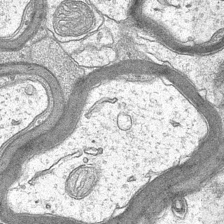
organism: Mouse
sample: CA1 Hippocampus